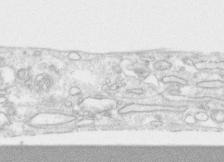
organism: Human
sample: CRL-1474